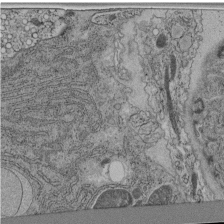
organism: C. elegans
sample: C. elegans pharynx